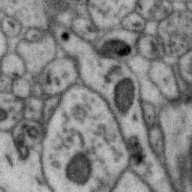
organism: Zebra finch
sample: Brain